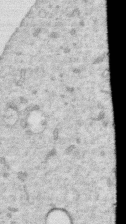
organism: Human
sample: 1205lu cells